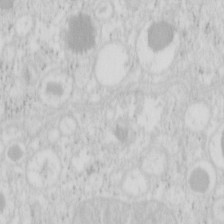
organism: Mouse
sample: Pancreas